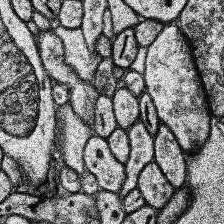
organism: Human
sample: Temporal Lobe